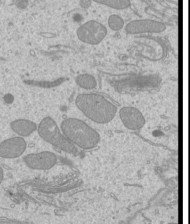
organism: Mouse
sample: Cilia; mouse epididymis